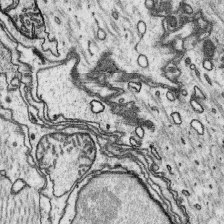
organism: Platynereis dumerilii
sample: Parapodia